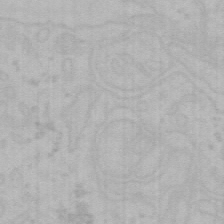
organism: Mouse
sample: Choroid plexus